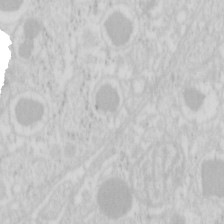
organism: Mouse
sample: Pancreas